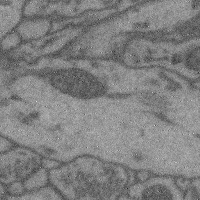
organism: Mouse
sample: Cerebral cortex